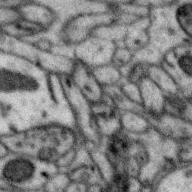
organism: Zebra finch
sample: Brain